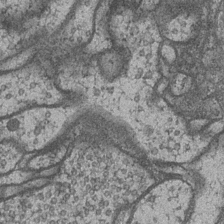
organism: Drosophila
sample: Optic medulla